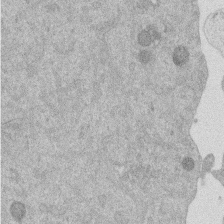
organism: Mouse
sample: Dividing mouse embryo 1 cell stage